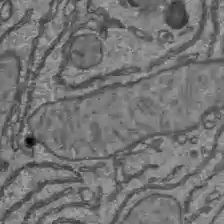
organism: C57BL Mouse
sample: Liver